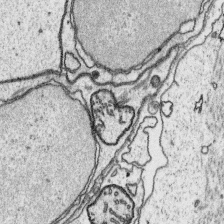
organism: Platynereis dumerilii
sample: Parapodia